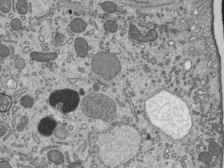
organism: Mouse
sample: Mouse epididymis efferent ductule cilia